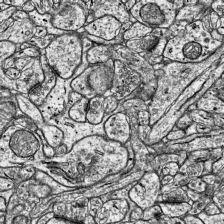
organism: Mouse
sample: Visual Cortex